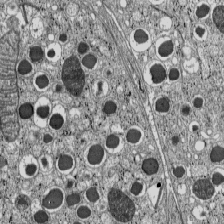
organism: C57BL Mouse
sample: Pancreatic islet